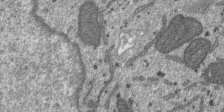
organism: Human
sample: Lung epithelial cells infected with SARS-CoV-2